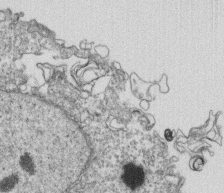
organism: Human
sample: HeLa cell HIV synapse